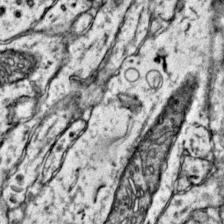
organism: Mouse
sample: Primary visual cortex